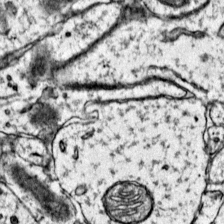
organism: Mouse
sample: Primary visual cortex